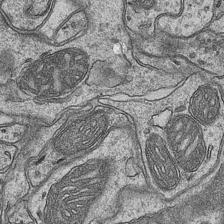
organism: Mouse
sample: CA1 Hippocampus